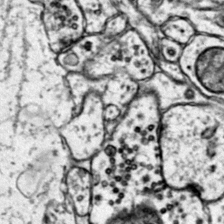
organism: Mouse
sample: Primary visual cortex